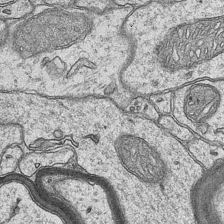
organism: Mouse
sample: CA1 Hippocampus